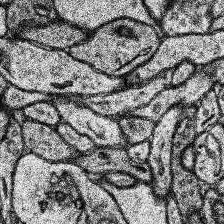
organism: Human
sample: Temporal Lobe